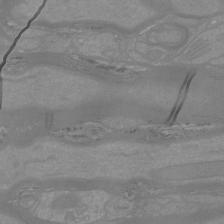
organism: Mouse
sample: Cortical neurons